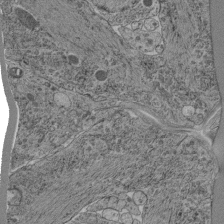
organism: C. elegans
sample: C. elegans pharynx